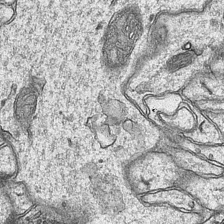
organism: Mouse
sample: CA1 Hippocampus